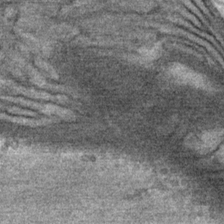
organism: Mouse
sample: Mouse Salivary gland